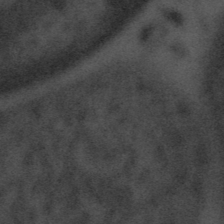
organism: Tuwongella immobilis